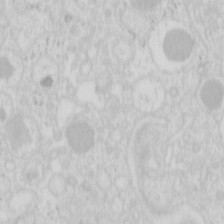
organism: Mouse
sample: Pancreas